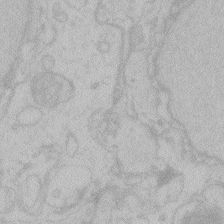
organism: Zebrafish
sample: Macrophage infected with Toxoplasma gondii